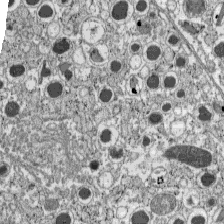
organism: C57BL Mouse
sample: Pancreatic islet